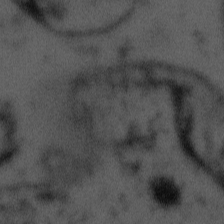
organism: Tuwongella immobilis